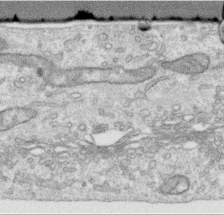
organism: Human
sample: Centriole in RPE cells